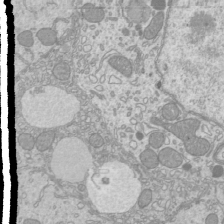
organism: Mouse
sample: Cilia; mouse epididymis